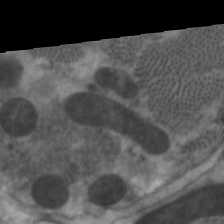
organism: C. elegans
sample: Pharynx